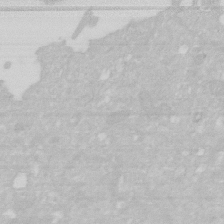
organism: Human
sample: HIV infected U937 cells